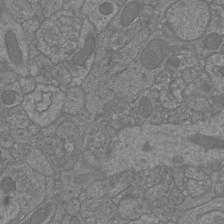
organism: Mouse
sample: Cortical neurons